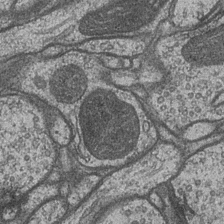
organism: Drosophila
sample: Optic medulla